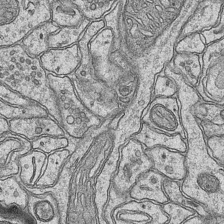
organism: Mouse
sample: CA1 Hippocampus